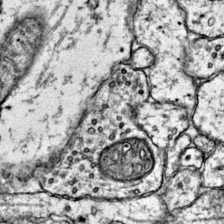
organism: Mouse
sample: Primary visual cortex